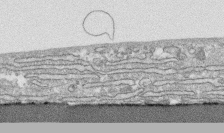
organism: Human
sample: CRL-1474